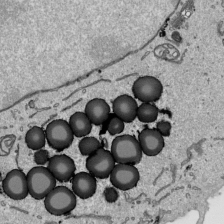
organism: Human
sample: Mitochondria in HCT116 cells